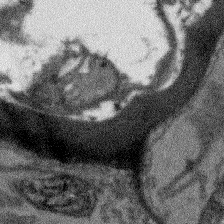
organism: Arabidopsis thaliana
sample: Root tip